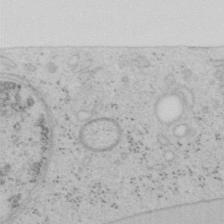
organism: Human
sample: HeLa cells